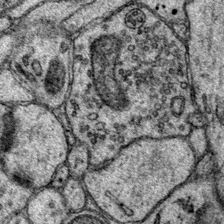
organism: Mouse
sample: Primary visual cortex